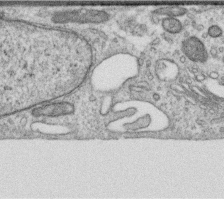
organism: Human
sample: Centriole in RPE cells